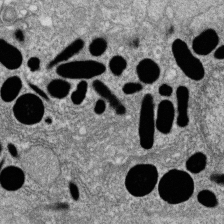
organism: Zebrafish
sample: Cilia; retinal pigment epithelium